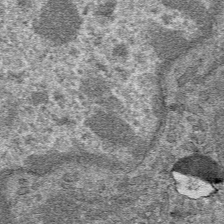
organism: Mouse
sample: Mouse hepatocytes